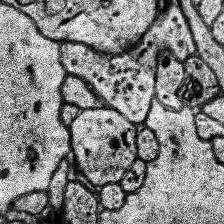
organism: Human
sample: Temporal Lobe